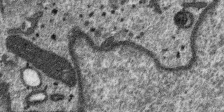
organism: Human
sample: Lung epithelial cells infected with SARS-CoV-2